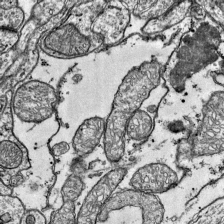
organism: Mouse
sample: Visual Cortex